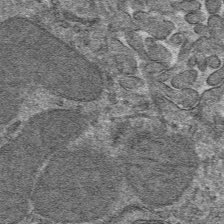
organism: Mouse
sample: Mouse hepatocytes